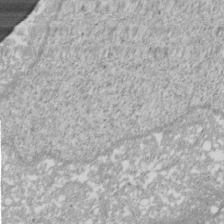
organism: Xenopus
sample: Cilia; centrioles in frog embryo cells